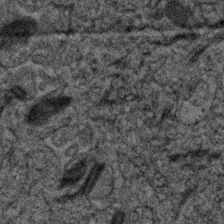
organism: Human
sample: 1205lu cells